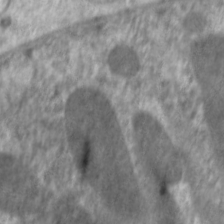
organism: C. elegans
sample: Pharynx